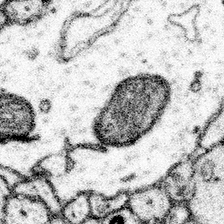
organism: Mouse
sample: Somatosensory cortex neuropil